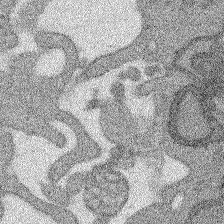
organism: Human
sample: HeLa cells